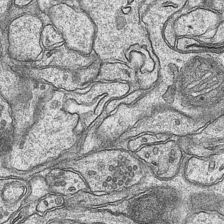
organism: Mouse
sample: CA1 Hippocampus